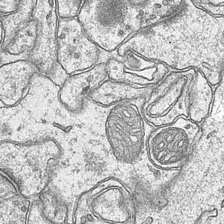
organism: Mouse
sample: CA1 Hippocampus